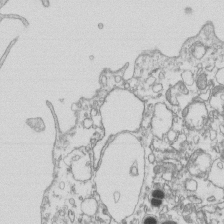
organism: Mouse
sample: Macrophages